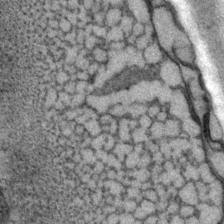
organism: P. pacificus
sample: Pharynx